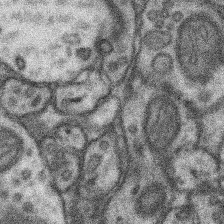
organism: Mouse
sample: Somatosensory cortex neuropil